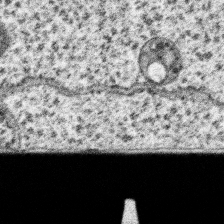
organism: Human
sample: HeLa cells